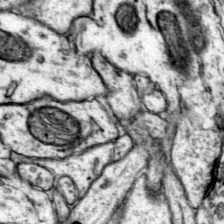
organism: Mouse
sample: Primary visual cortex